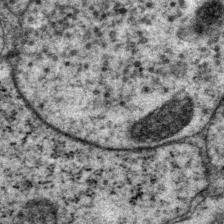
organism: P. pacificus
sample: Pharynx